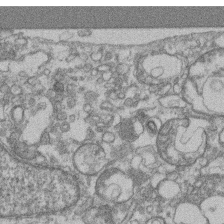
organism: Mouse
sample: T cell stromal cell synapse